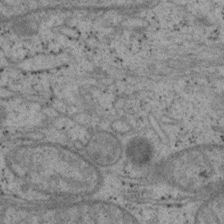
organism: Human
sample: HeLa cells